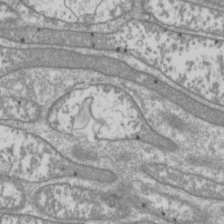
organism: Drosophila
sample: Cell division; meiosis; drosophila spermatocytes